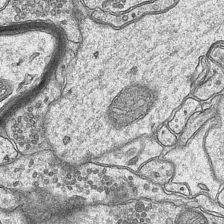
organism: Mouse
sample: CA1 Hippocampus